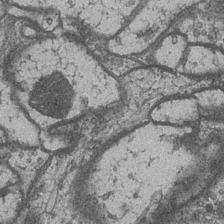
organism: Drosophila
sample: Optic medulla